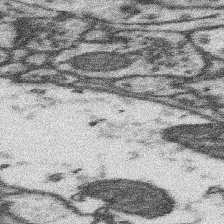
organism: Mouse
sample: Somatosensory cortex neuropil